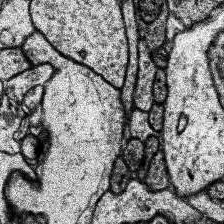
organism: Human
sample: Temporal Lobe